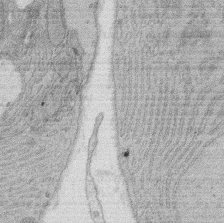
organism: Rat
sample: Salivary granule